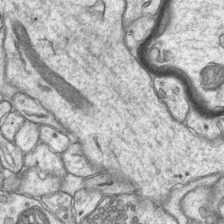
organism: Mouse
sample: CA1 Hippocampus